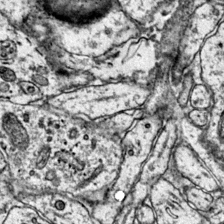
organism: Mouse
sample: Primary visual cortex